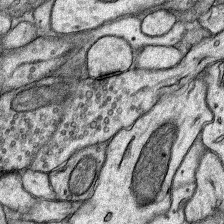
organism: Rat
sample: Hippocampus